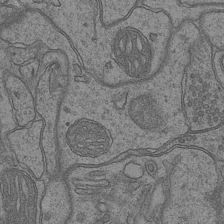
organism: Mouse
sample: CA1 Hippocampus